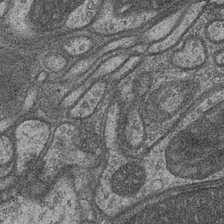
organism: Drosophila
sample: Optic medulla